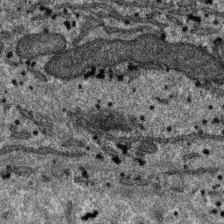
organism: Human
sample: Lung epithelial cells infected with SARS-CoV-2